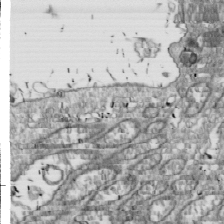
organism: Drosophila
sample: Cell division; meiosis; drosophila spermatocytes